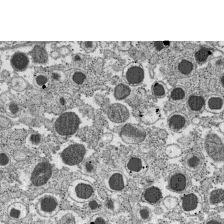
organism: C57BL Mouse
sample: Pancreatic islet